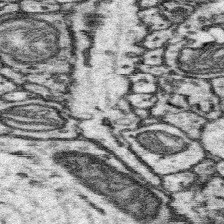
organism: Mouse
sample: Somatosensory cortex neuropil